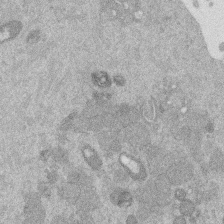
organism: Mouse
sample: Dividing mouse embryo 1 cell stage